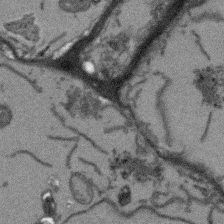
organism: Arabidopsis thaliana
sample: Root tip